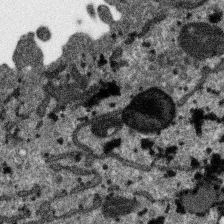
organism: Human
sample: Lung epithelial cells infected with SARS-CoV-2